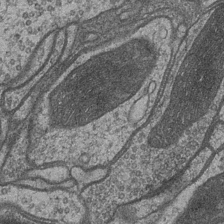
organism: Drosophila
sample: Optic medulla